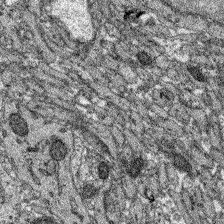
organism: Zebrafish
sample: Larval olfactory bulb